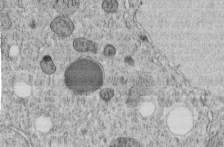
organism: C. elegans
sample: C. elegans embryo early stage